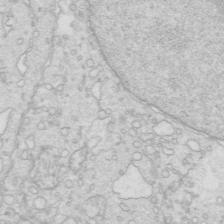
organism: Mouse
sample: Multiciliated cells